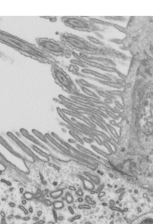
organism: Mouse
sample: Mouse epididymis efferent ductule cilia